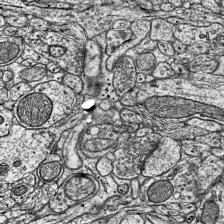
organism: Mouse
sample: Visual Cortex